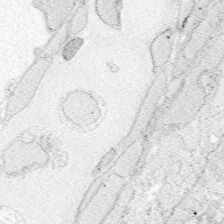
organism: Zebrafish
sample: Whole-Brain